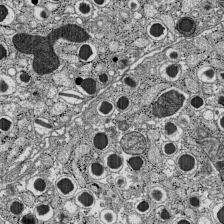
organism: C57BL Mouse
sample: Pancreatic islet